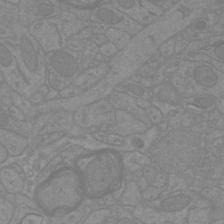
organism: Mouse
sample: Cortical neurons